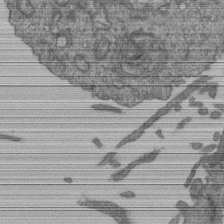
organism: Human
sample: Retinal organoid Rod and Cone cells